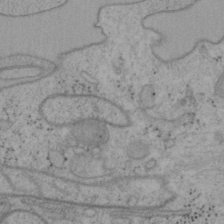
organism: Human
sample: HeLa cells